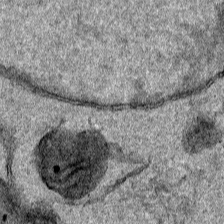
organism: Human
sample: Mitochondria in HCT116 cells